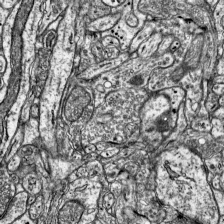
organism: Mouse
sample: Visual Cortex